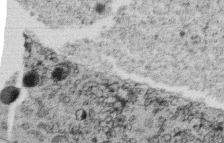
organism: C. elegans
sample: C. elegans oocyte; sperm cells